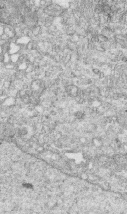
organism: Human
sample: HeLa cell HIV synapse